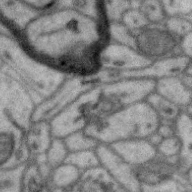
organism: Zebra finch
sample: Brain